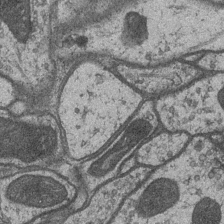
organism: Drosophila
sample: Optic medulla